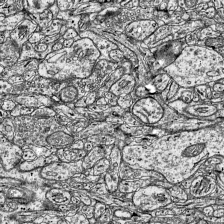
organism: Mouse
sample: Visual Cortex